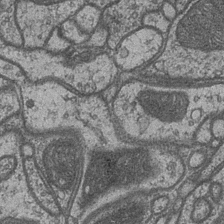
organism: Drosophila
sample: Optic medulla